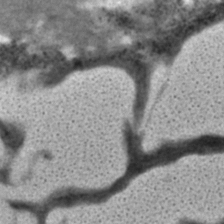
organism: C. elegans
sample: C. elegans embryo